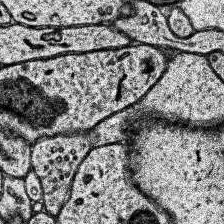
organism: Human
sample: Temporal Lobe